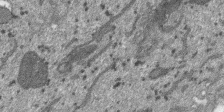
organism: Human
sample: Lung epithelial cells infected with SARS-CoV-2